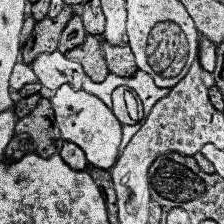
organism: Human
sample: Temporal Lobe